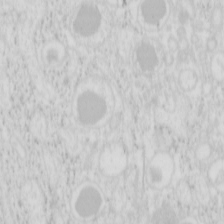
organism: Mouse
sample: Pancreas